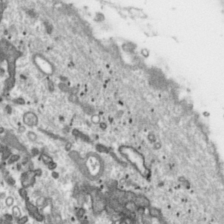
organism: Toxoplasma gondii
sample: Parasites in a vacuole inside a host cell